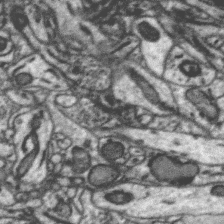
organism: Zebra finch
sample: Brain